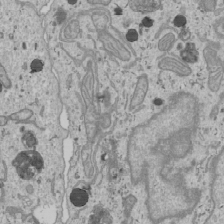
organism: Human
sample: Mitochondria in U2OS cells